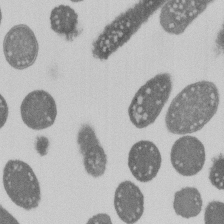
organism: E. coli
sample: Bacterial nucleoid